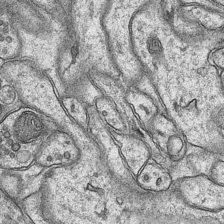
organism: Mouse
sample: CA1 Hippocampus